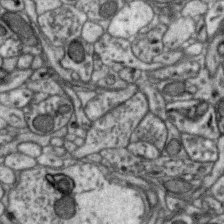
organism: Zebra finch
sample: Brain